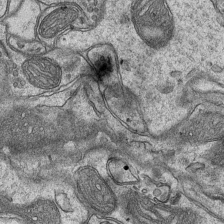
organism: Mouse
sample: CA1 Hippocampus